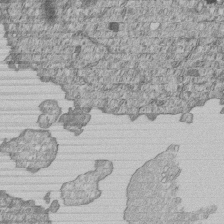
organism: Human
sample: MDA-MB-231 cells